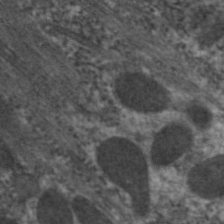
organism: C. elegans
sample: Pharynx